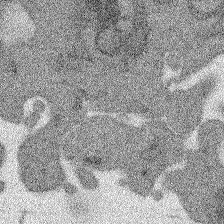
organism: Human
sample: HeLa cells